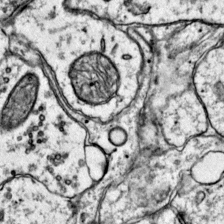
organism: Mouse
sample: Primary visual cortex